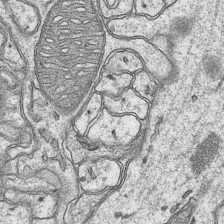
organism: Mouse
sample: CA1 Hippocampus